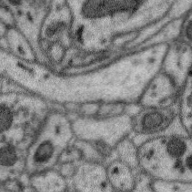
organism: Zebra finch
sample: Brain